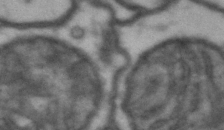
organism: Drosophila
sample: Brain